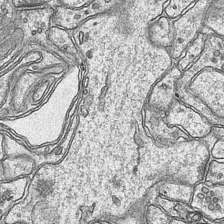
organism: Mouse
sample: CA1 Hippocampus